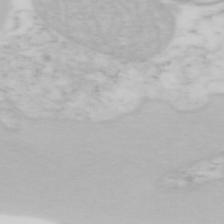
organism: Mouse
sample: OT-I killer T cells with ID8 ovarian cancer cells